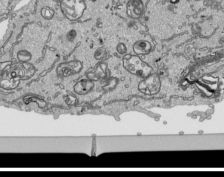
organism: Human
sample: Mitochondria in HCT116 cells